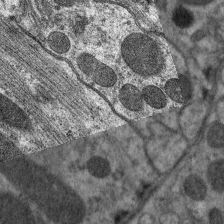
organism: C. elegans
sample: Pharynx